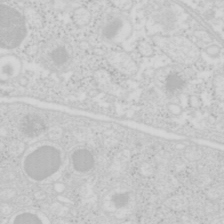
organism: Mouse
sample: Pancreas